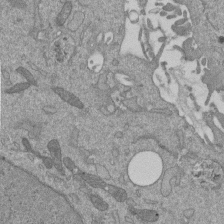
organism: Mouse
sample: ED-1 cell nuclei; centrioles